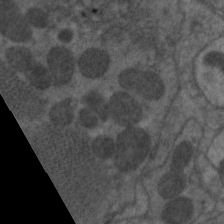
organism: C. elegans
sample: Pharynx